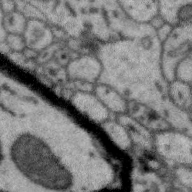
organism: Zebra finch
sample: Brain